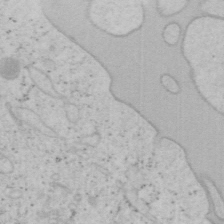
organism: Human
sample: HeLa cells